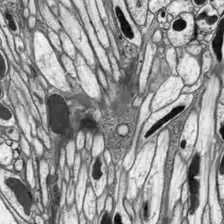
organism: Drosophila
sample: Optic lobe